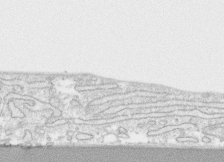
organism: Human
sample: CRL-1474